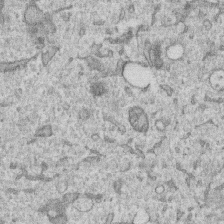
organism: Human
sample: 1205lu cells